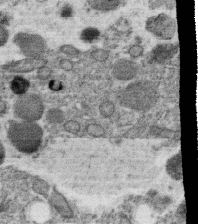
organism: C. elegans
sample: C. elegans oocyte; sperm cells